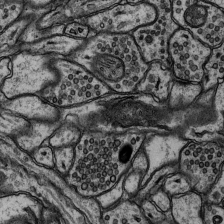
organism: Rat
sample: Hippocampus